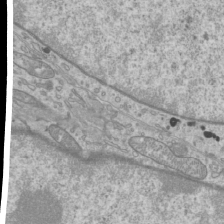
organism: Mouse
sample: Cilia; mouse epididymis